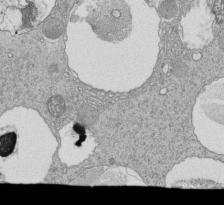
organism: Tetrahymena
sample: Cilia in tetrahymena